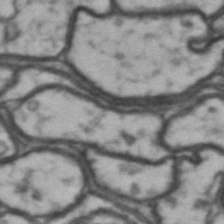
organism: Drosophila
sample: Brain